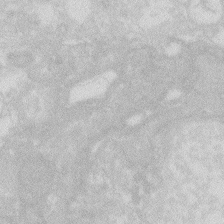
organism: Zebrafish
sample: Macrophage